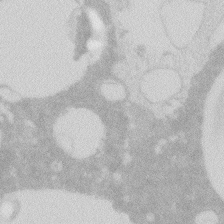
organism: Zebrafish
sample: Macrophage